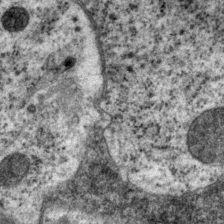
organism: P. pacificus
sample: Pharynx